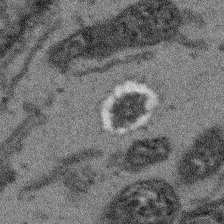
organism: Arabidopsis thaliana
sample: Root tip